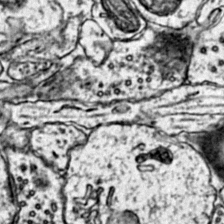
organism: Mouse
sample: Primary visual cortex